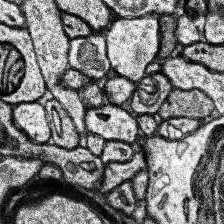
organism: Human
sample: Temporal Lobe